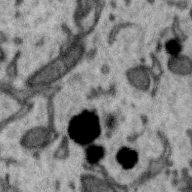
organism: Zebra finch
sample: Brain